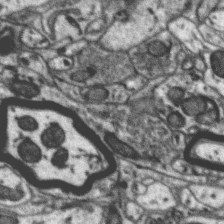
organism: Zebra finch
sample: Brain